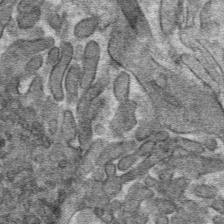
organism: Mouse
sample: Mouse hepatocytes